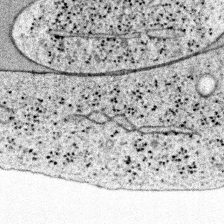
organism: Human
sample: HeLa cells